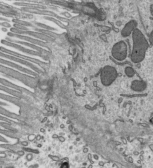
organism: Mouse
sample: Mouse epididymis efferent ductule cilia